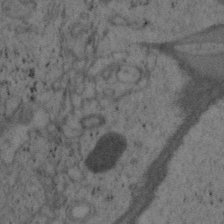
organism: Human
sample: HeLa cells